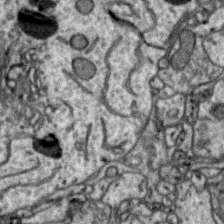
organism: Zebra finch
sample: Brain